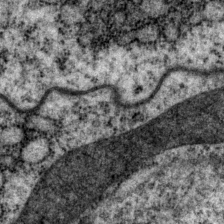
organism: P. pacificus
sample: Pharynx